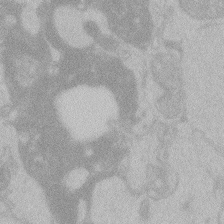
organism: Zebrafish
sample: Macrophage infected with Toxoplasma gondii